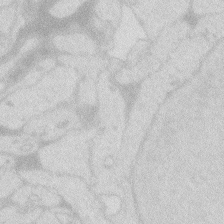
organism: Zebrafish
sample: Macrophage